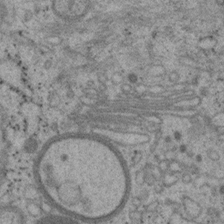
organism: Human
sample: HeLa cells